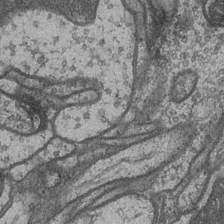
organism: Drosophila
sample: Optic medulla